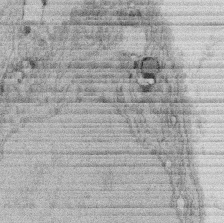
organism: Rat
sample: Salivary granule